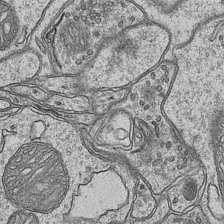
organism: Mouse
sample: CA1 Hippocampus